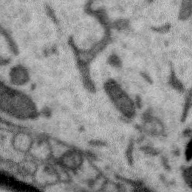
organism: Zebra finch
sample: Brain